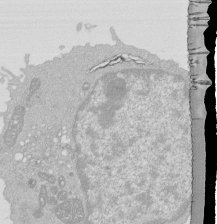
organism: Mouse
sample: Activated Pmel transgenic CD8+ T Cells